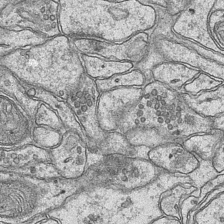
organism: Mouse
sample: CA1 Hippocampus